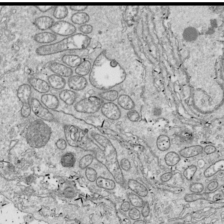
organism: Drosophila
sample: Cell division; meiosis; drosophila spermatocytes